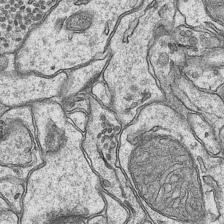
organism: Mouse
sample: CA1 Hippocampus